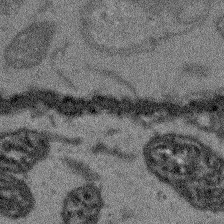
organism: Arabidopsis thaliana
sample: Root tip